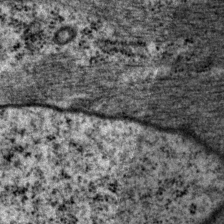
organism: P. pacificus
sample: Pharynx